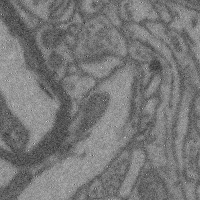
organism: Mouse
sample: Cerebral cortex